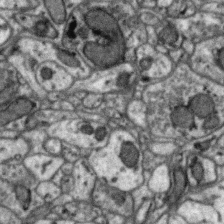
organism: Zebra finch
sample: Brain